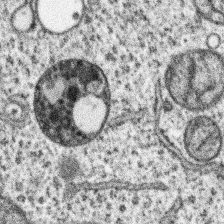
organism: Human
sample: HeLa cells